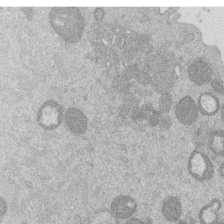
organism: Mouse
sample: Dividing mouse embryo 1 cell stage